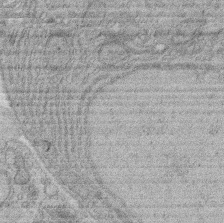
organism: Rat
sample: Salivary granule